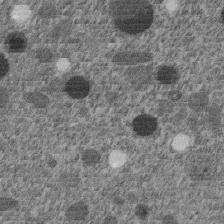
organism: C. elegans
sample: C. elegans embryo early stage